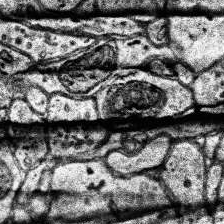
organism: Human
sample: Temporal Lobe